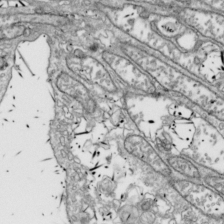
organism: Drosophila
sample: Cell division; meiosis; drosophila spermatocytes